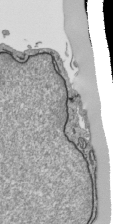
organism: Human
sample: Mitochondria in HCT116 cells